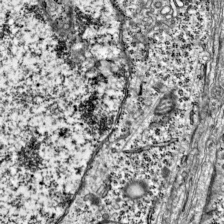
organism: Mouse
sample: Visual Cortex